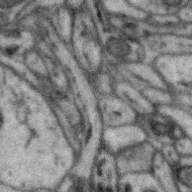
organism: Zebra finch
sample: Brain